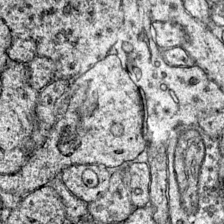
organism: Mouse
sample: Primary visual cortex